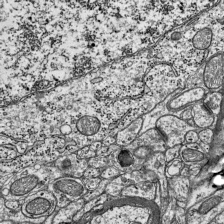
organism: Mouse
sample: Visual Cortex